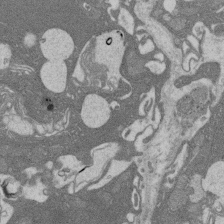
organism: Rat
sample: Salivary granule